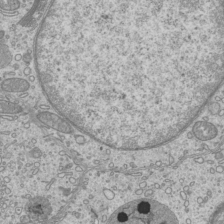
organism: Mouse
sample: Cilia; mouse epididymis